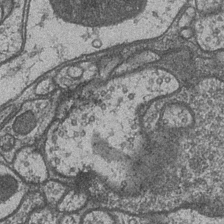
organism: Drosophila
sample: Optic medulla